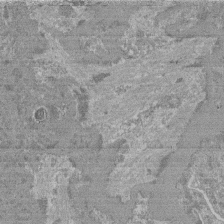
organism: Mouse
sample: Glomerulus